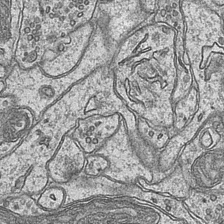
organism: Mouse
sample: CA1 Hippocampus